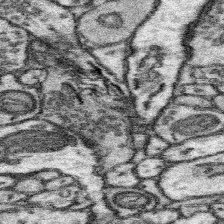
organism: Mouse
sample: Somatosensory cortex neuropil